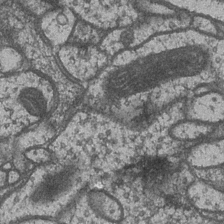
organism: Drosophila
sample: Optic medulla